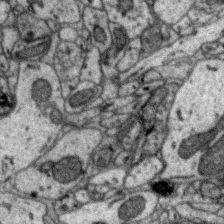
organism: Zebra finch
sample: Brain